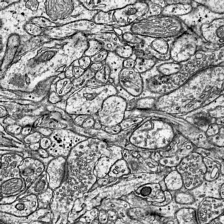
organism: Mouse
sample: Visual Cortex